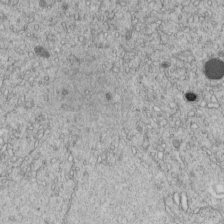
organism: C. elegans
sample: C. elegans embryo early stage